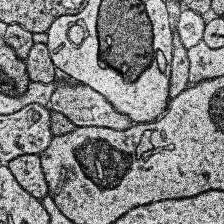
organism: Human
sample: Temporal Lobe